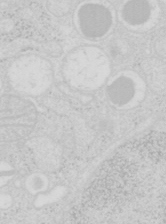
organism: Mouse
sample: Pancreas